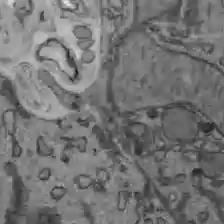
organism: C57BL Mouse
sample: Liver